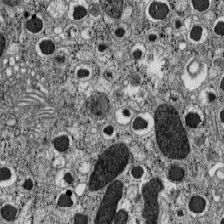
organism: C57BL Mouse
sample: Pancreatic islet